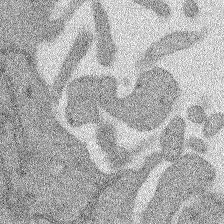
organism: Human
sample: HeLa cells